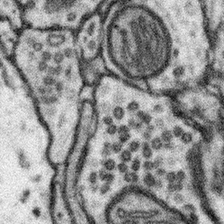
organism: Mouse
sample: Somatosensory cortex neuropil